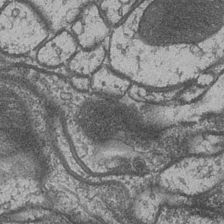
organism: Drosophila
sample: Optic medulla